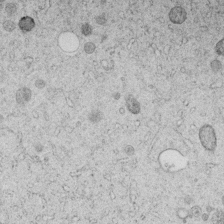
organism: C. elegans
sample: C. elegans embryo early stage